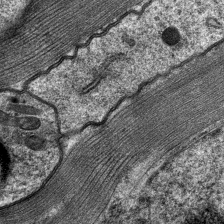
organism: C. elegans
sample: Pharynx